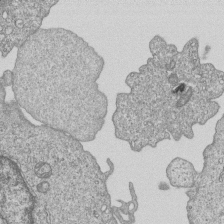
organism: Human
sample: MDA-MB-231 cells